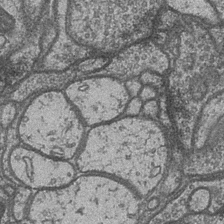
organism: Drosophila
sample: Optic medulla